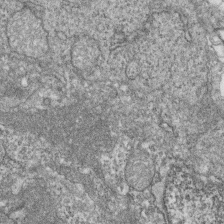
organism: Zebrafish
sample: Cilia; retinal pigment epithelium